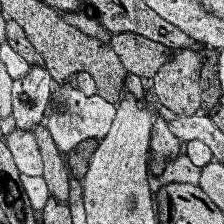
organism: Human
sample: Temporal Lobe